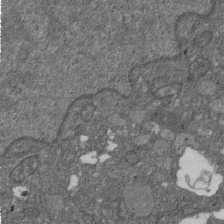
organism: Drosophila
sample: Nephrocyte